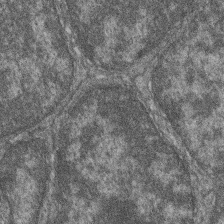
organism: Zebrafish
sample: Cilia; retinal pigment epithelium